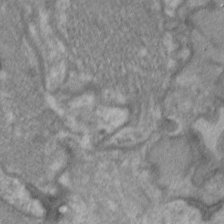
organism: C. elegans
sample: Pharynx